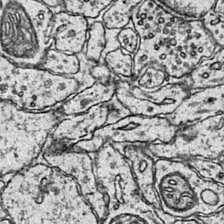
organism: Mouse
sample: Primary visual cortex